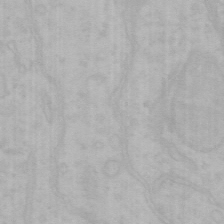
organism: Mouse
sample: Choroid plexus